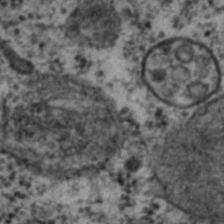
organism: C. elegans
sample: C. elegans embryo